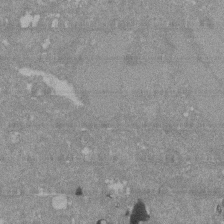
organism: Mouse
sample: ED-1 cell nuclei; centrioles